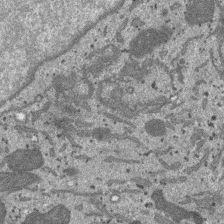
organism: Human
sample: Lung epithelial cells infected with SARS-CoV-2